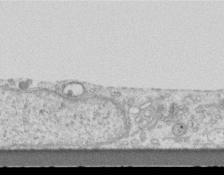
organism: Mouse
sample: Centriole in ependymal cells